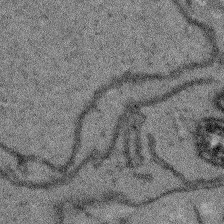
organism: Arabidopsis thaliana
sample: Root tip